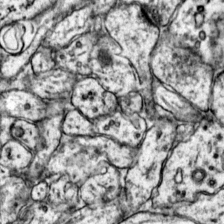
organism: Mouse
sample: Primary visual cortex